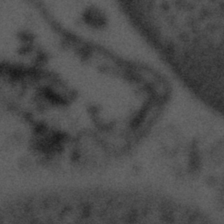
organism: Tuwongella immobilis